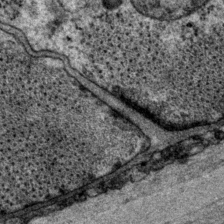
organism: P. pacificus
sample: Pharynx